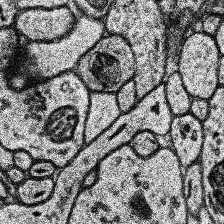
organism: Human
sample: Temporal Lobe